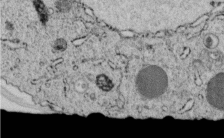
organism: C. elegans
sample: C. elegans embryo early stage